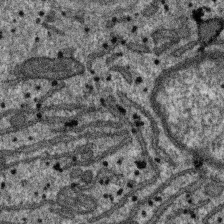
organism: Human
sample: Lung epithelial cells infected with SARS-CoV-2